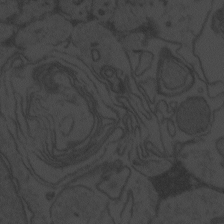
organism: Zebrafish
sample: Macrophage infected with Toxoplasma gondii